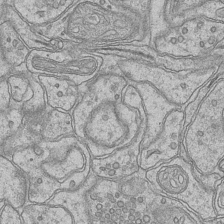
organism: Mouse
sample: CA1 Hippocampus